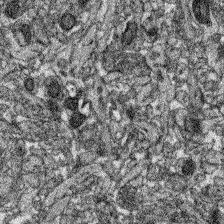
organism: Zebrafish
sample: Larval olfactory bulb